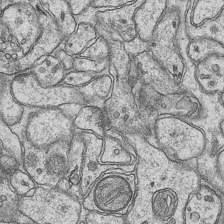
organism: Mouse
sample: CA1 Hippocampus